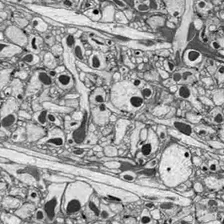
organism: Drosophila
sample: Optic lobe